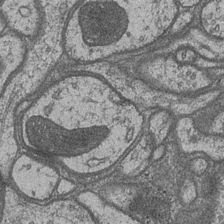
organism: Drosophila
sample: Optic medulla